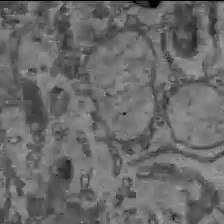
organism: C57BL Mouse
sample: Liver